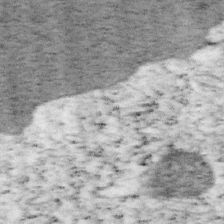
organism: Mouse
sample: OT-I killer T cells with ID8 ovarian cancer cells